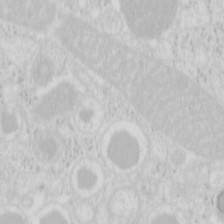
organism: Mouse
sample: Pancreas